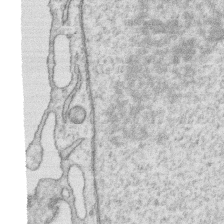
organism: Human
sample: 1205lu cells